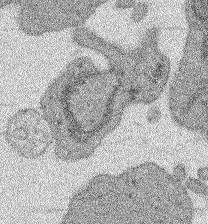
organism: Human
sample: HeLa cells